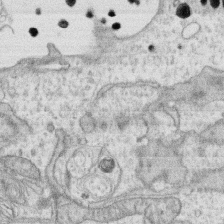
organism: Human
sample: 1205lu cells